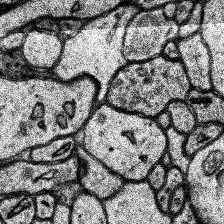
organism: Human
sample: Temporal Lobe